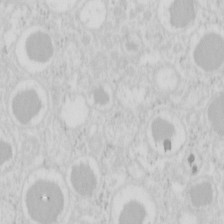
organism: Mouse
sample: Pancreas